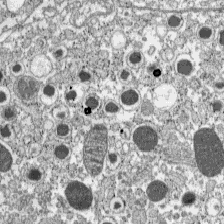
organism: C57BL Mouse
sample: Pancreatic islet